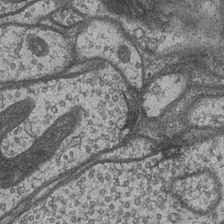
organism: Drosophila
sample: Optic medulla